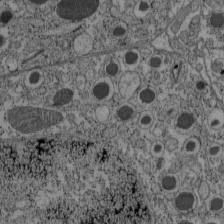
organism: C57BL Mouse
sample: Pancreatic islet